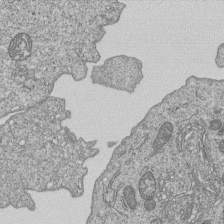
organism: Human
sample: MDA-MB-231 cells